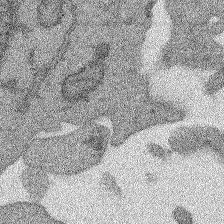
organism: Human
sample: HeLa cells